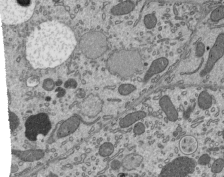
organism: Mouse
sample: Mouse epididymis efferent ductule cilia